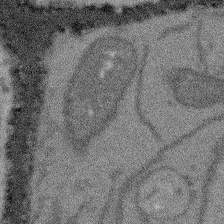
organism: Arabidopsis thaliana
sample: Root tip